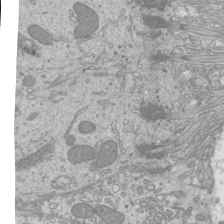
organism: Mouse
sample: Cilia; mouse epididymis